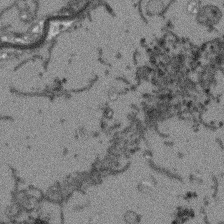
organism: Arabidopsis thaliana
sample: Root tip